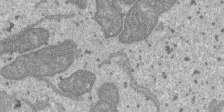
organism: Human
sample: Lung epithelial cells infected with SARS-CoV-2